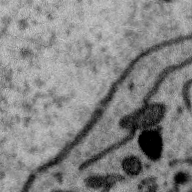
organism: Zebra finch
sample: Brain